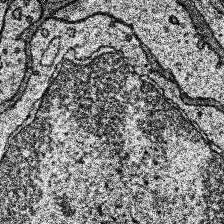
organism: Human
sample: Temporal Lobe